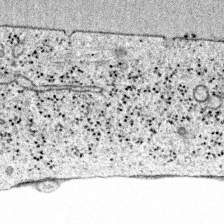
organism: Human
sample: HeLa cells